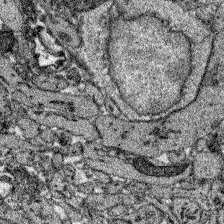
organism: Zebrafish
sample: Larval olfactory bulb